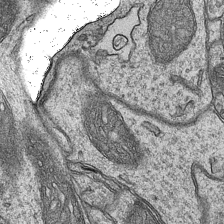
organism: Mouse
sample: CA1 Hippocampus